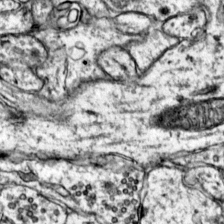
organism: Mouse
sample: Primary visual cortex